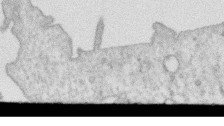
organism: Human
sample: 1205lu cells